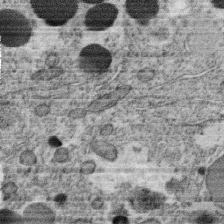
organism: C. elegans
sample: C. elegans oocyte; sperm cells